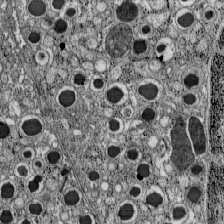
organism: C57BL Mouse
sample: Pancreatic islet